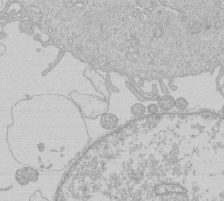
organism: Human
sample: Macrophage cells